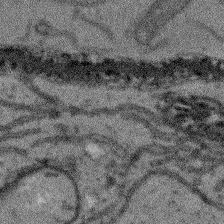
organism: Arabidopsis thaliana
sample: Root tip